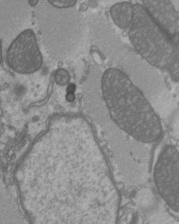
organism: C57BL Mouse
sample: Heart